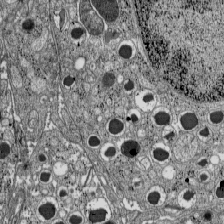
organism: C57BL Mouse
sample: Pancreatic islet